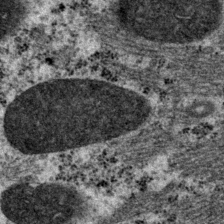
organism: P. pacificus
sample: Pharynx